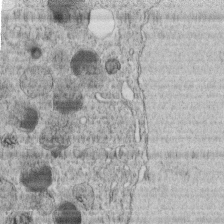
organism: C. elegans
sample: C. elegans embryo early stage